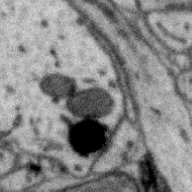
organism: Zebra finch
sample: Brain